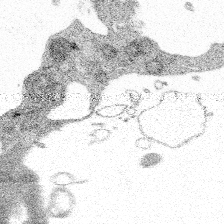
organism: Spongilla lacustris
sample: Multiple